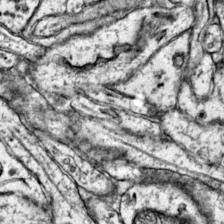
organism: Mouse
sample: Primary visual cortex